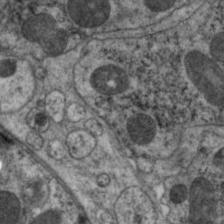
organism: C. elegans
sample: Pharynx